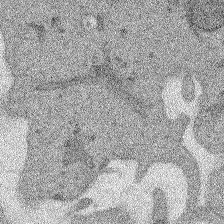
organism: Human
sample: HeLa cells